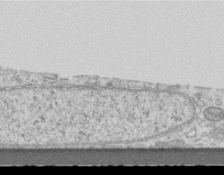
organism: Mouse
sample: Centriole in ependymal cells